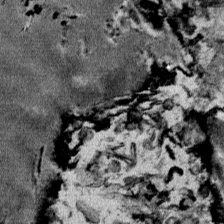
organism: Mouse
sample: Mouse Salivary gland